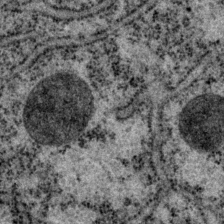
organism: P. pacificus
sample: Pharynx